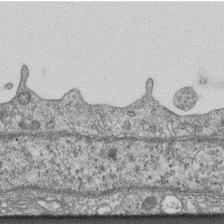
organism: Mouse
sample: Centriole in ependymal cells